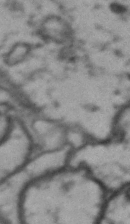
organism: Drosophila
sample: Brain